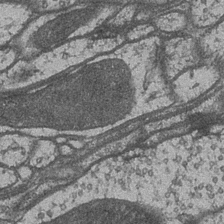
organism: Drosophila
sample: Optic medulla